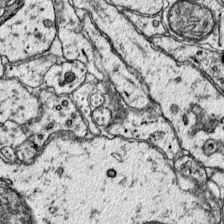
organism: Mouse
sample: Primary visual cortex